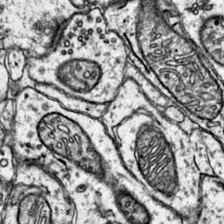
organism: Mouse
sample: Primary visual cortex